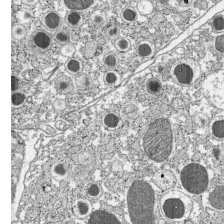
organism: C57BL Mouse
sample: Pancreatic islet